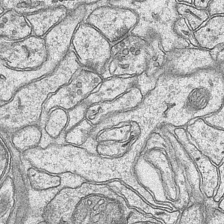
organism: Mouse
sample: CA1 Hippocampus